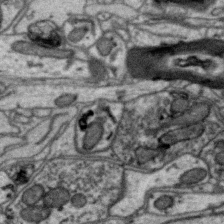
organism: Zebra finch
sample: Brain